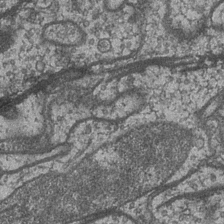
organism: Drosophila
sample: Optic medulla